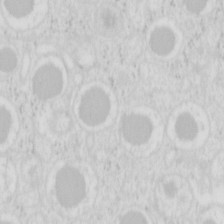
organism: Mouse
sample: Pancreas